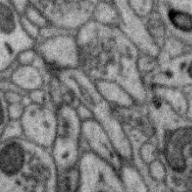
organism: Zebra finch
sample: Brain